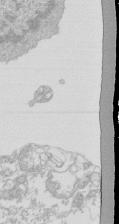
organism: Mouse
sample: Activated Pmel transgenic CD8+ T Cells